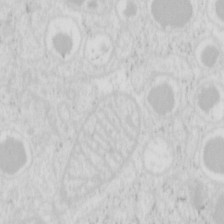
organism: Mouse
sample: Pancreas